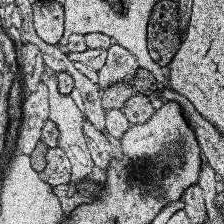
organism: Human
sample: Temporal Lobe